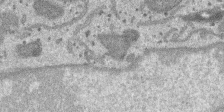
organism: Human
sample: Lung epithelial cells infected with SARS-CoV-2